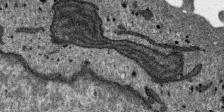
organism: Human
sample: Lung epithelial cells, uninfected (mock) control